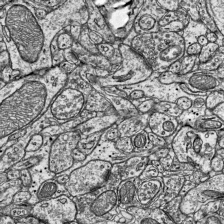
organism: Mouse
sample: Visual Cortex